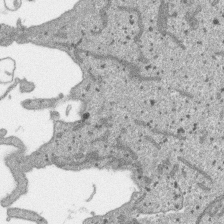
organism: Human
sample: Lung epithelial cells infected with SARS-CoV-2